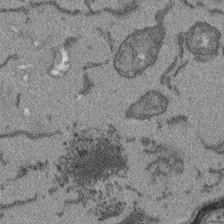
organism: Arabidopsis thaliana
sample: Root tip